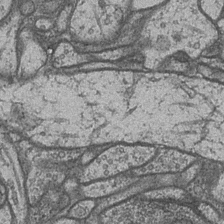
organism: Drosophila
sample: Optic medulla